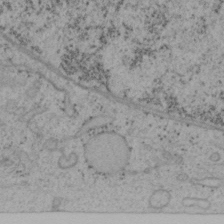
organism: Human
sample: HeLa cells